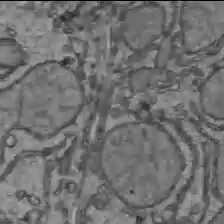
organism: C57BL Mouse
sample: Liver